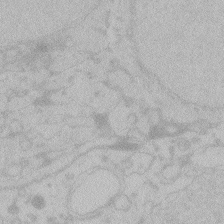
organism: Zebrafish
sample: Macrophage infected with Toxoplasma gondii